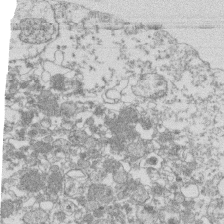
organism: Human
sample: HeLa cell HIV synapse